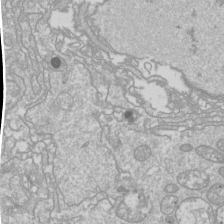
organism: Drosophila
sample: Cell division; meiosis; drosophila spermatocytes